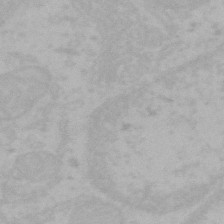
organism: Mouse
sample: Choroid plexus